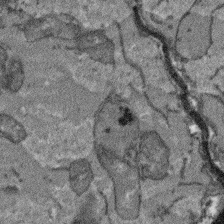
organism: Arabidopsis thaliana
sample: Root tip